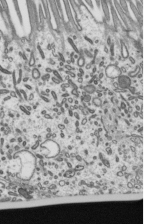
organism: Mouse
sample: Mouse epididymis efferent ductule cilia